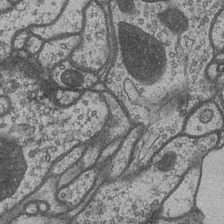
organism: Drosophila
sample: Optic medulla